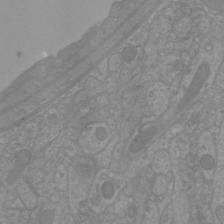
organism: Mouse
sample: Cortical neurons